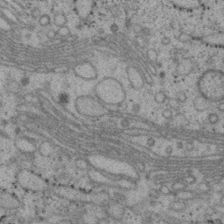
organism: Human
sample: HeLa cells